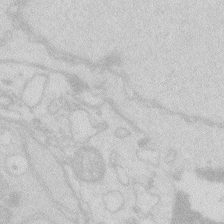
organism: Zebrafish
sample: Macrophage